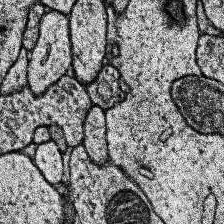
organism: Human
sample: Temporal Lobe